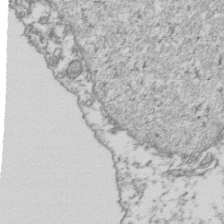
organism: Human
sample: Activated Jurkat CD4+ T cells